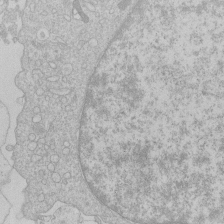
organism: Human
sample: Macrophage cells